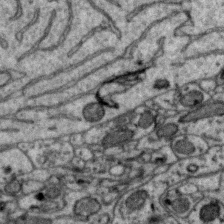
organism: Zebra finch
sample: Brain